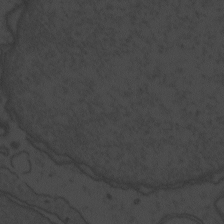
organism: Zebrafish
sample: Macrophage infected with Toxoplasma gondii